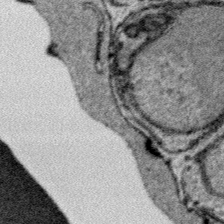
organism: Plasmodium falciparum